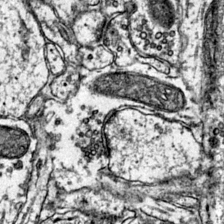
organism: Mouse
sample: Primary visual cortex